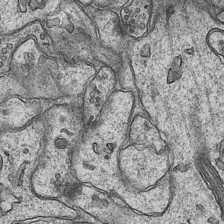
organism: Mouse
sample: CA1 Hippocampus